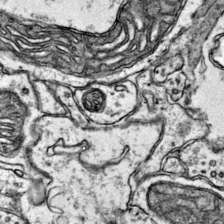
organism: Mouse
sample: Primary visual cortex